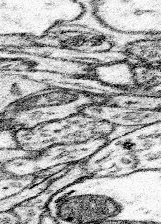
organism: Mouse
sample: Somatosensory cortex neuropil